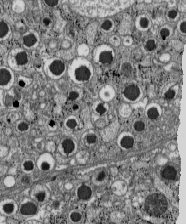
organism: C57BL Mouse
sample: Pancreatic islet